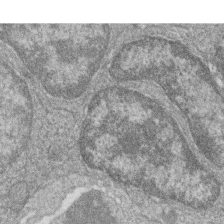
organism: Zebrafish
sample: Cilia; retinal pigment epithelium